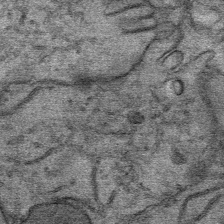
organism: Mouse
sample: Mouse Salivary gland